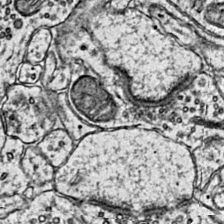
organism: Mouse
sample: Primary visual cortex